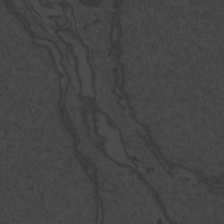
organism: Zebrafish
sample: Macrophage infected with Toxoplasma gondii